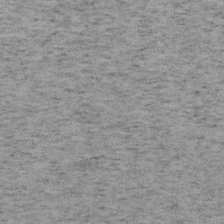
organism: Mouse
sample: OT-I killer T cells with ID8 ovarian cancer cells